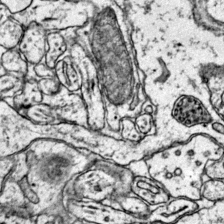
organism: Mouse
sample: Primary visual cortex